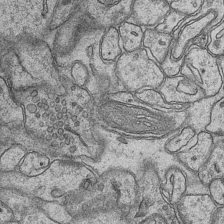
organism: Mouse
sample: CA1 Hippocampus